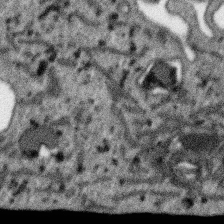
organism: Human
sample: Lung epithelial cells infected with SARS-CoV-2